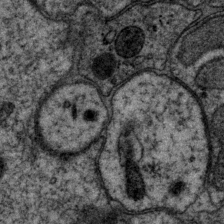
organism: P. pacificus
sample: Pharynx